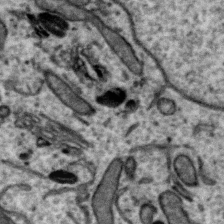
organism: Zebra finch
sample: Brain